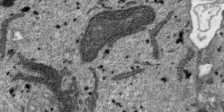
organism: Human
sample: Lung epithelial cells, uninfected (mock) control